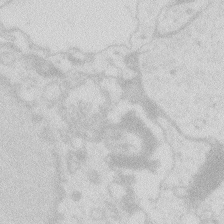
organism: Zebrafish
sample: Macrophage